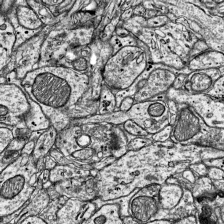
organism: Mouse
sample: Visual Cortex